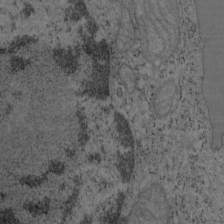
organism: Mouse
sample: OT-I killer T cells with ID8 ovarian cancer cells